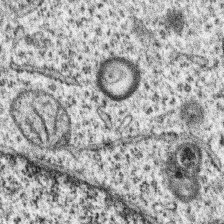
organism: Human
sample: HeLa cells